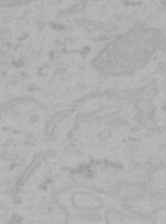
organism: Mouse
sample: Choroid plexus